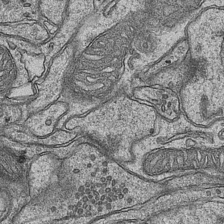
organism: Mouse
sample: CA1 Hippocampus